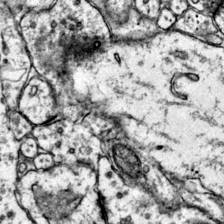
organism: Mouse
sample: Primary visual cortex